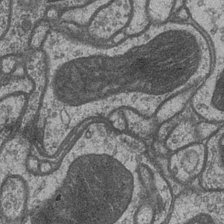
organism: Drosophila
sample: Optic medulla